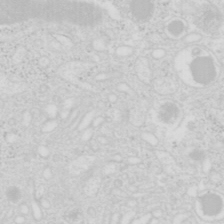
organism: Mouse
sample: Pancreas